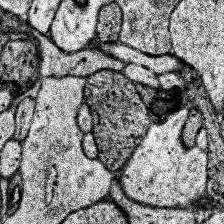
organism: Human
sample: Temporal Lobe